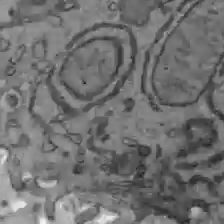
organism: C57BL Mouse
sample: Liver